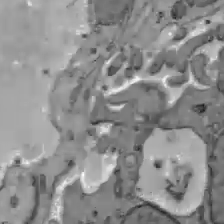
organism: C57BL Mouse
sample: Liver